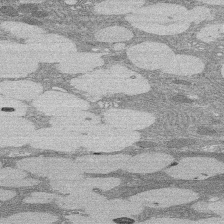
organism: Rat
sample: Salivary granule